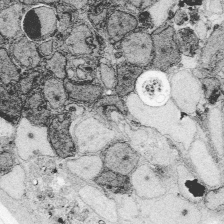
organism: Zebrafish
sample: Whole-Brain